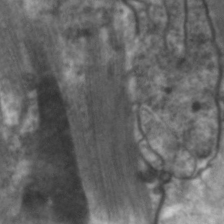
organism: C. elegans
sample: Pharynx